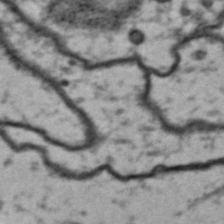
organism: Drosophila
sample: Brain